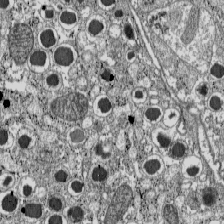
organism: C57BL Mouse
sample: Pancreatic islet